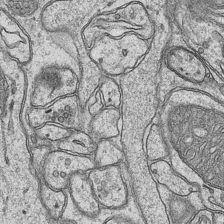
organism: Mouse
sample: CA1 Hippocampus